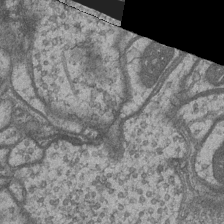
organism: Drosophila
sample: Optic medulla